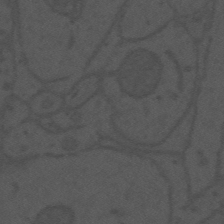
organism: Mouse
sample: Suprachiasmatic nucleus